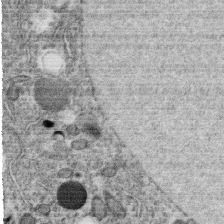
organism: C. elegans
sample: C. elegans oocyte; sperm cells